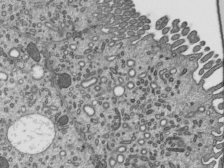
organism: Mouse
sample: Mouse epididymis efferent ductule cilia